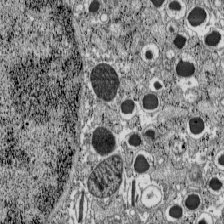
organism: C57BL Mouse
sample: Pancreatic islet